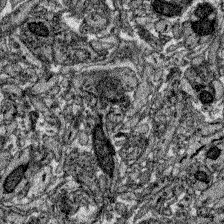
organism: Zebrafish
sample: Larval olfactory bulb